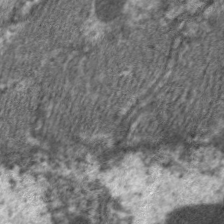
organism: C. elegans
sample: Pharynx